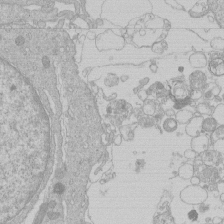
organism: Human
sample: Macrophage cells